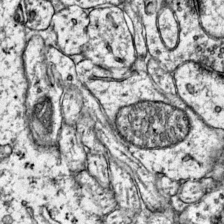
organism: Mouse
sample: Primary visual cortex